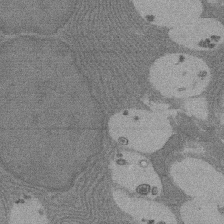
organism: Rat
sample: Salivary granule